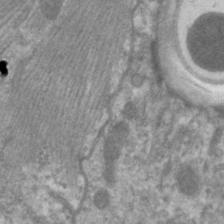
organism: C. elegans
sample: Pharynx